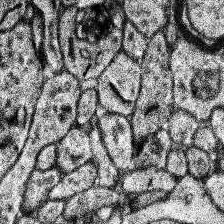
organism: Human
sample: Temporal Lobe